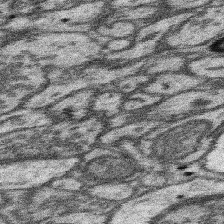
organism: Mouse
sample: Somatosensory cortex neuropil